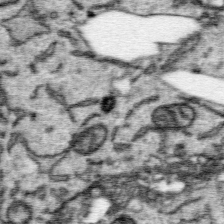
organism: Human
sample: HeLa cells